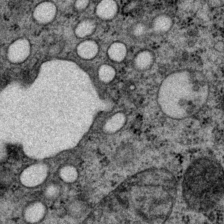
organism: P. pacificus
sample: Pharynx